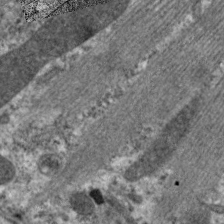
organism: C. elegans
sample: Pharynx